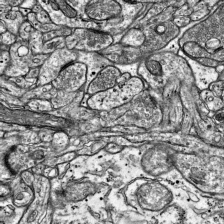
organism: Mouse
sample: Visual Cortex